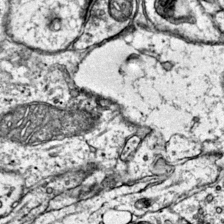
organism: Mouse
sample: Primary visual cortex